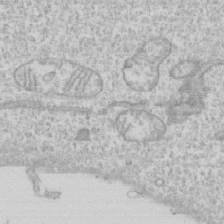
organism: Human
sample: CRL-1474